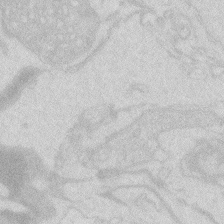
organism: Zebrafish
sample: Macrophage